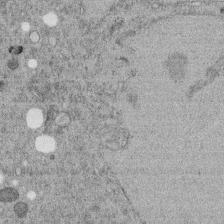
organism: C. elegans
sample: C. elegans embryo early stage